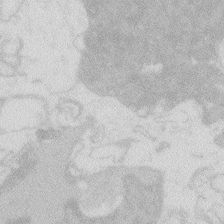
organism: Zebrafish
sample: Macrophage